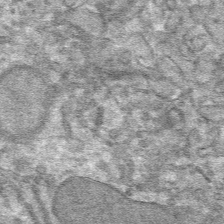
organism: Mouse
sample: Mouse hepatocytes